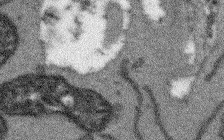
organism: Arabidopsis thaliana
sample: Root tip